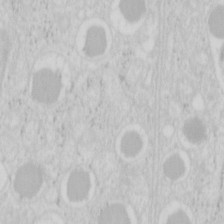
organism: Mouse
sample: Pancreas